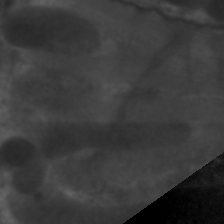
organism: C. elegans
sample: Pharynx